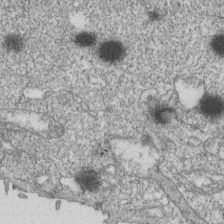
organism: Human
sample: HeLa cell HIV synapse